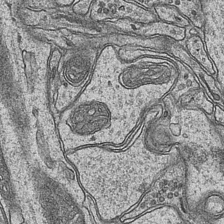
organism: Mouse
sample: CA1 Hippocampus